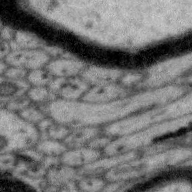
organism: Zebra finch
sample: Brain